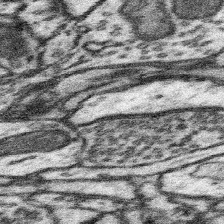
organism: Mouse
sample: Somatosensory cortex neuropil